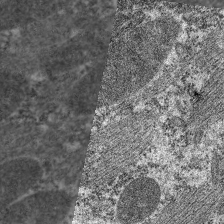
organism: C. elegans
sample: Pharynx